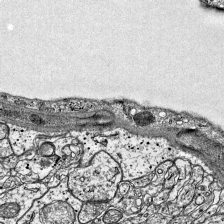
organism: Mouse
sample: Visual Cortex